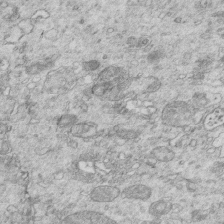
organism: Mouse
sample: Multiciliated cells